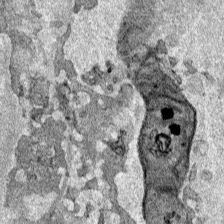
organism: Human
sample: Mitochondria in HCT116 cells